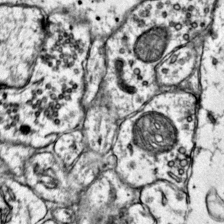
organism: Mouse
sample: Primary visual cortex